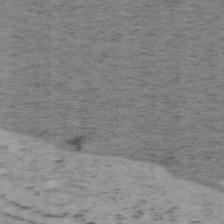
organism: Mouse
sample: OT-I killer T cells with ID8 ovarian cancer cells